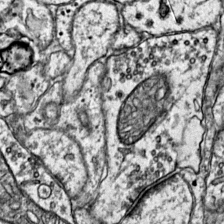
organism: Mouse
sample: Primary visual cortex